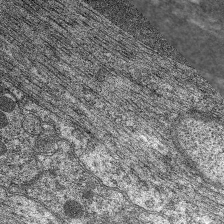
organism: C. elegans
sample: Pharynx